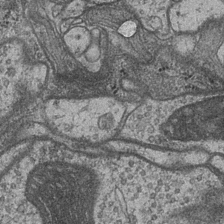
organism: Drosophila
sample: Optic medulla